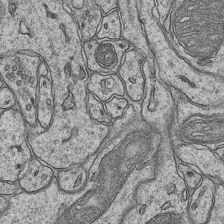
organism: Mouse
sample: CA1 Hippocampus